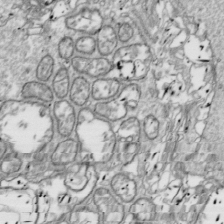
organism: Drosophila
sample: Cell division; meiosis; drosophila spermatocytes